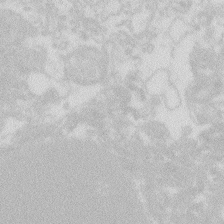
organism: Zebrafish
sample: Macrophage